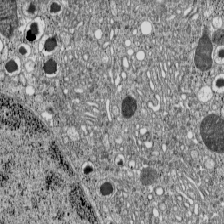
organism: C57BL Mouse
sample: Pancreatic islet